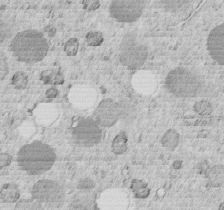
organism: C. elegans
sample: C. elegans embryo early stage